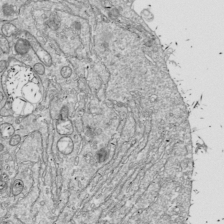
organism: Drosophila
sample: Cell division; meiosis; drosophila spermatocytes